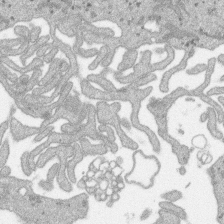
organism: Human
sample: Lung epithelial cells infected with SARS-CoV-2